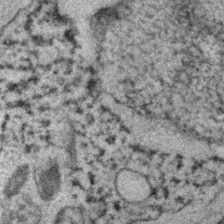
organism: C. elegans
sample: C. elegans embryo